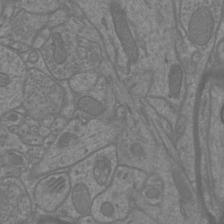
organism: Mouse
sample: Cortical neurons